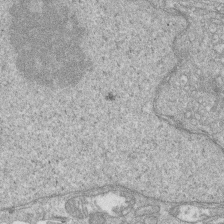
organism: Human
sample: HeLa cell HIV synapse